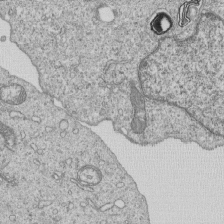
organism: Human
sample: MDA-MB-231 cells